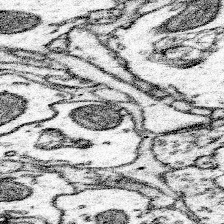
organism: Mouse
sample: Somatosensory cortex neuropil